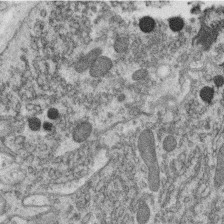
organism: C. elegans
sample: C. elegans oocyte; sperm cells